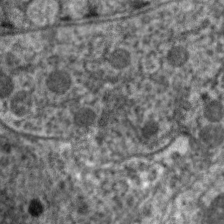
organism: C. elegans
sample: Pharynx